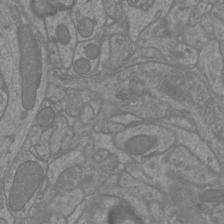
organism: Mouse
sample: Cortical neurons